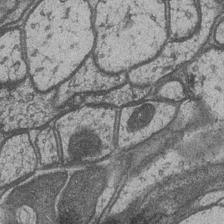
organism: Drosophila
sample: Optic medulla